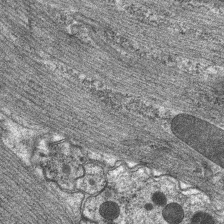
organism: C. elegans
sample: Pharynx